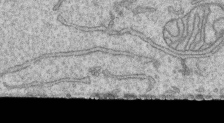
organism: Human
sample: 1205lu cells